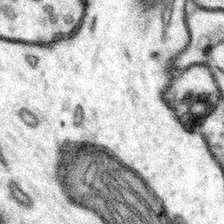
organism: Mouse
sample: Somatosensory cortex neuropil